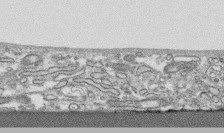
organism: Human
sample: CRL-1474